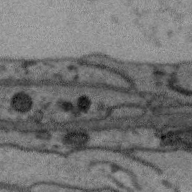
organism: Zebra finch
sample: Brain